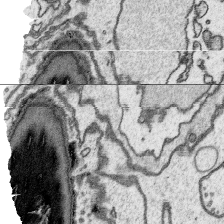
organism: Platynereis dumerilii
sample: Parapodia